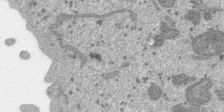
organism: Human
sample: Lung epithelial cells infected with SARS-CoV-2